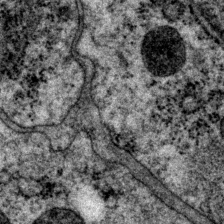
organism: P. pacificus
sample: Pharynx